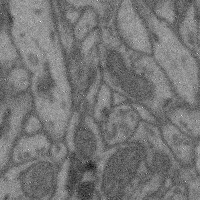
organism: Mouse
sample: Cerebral cortex